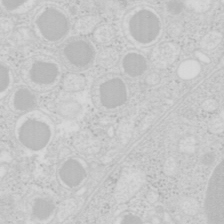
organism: Mouse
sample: Pancreas